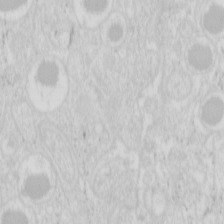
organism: Mouse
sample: Pancreas